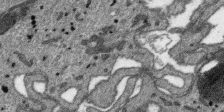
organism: Human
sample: Lung epithelial cells, uninfected (mock) control